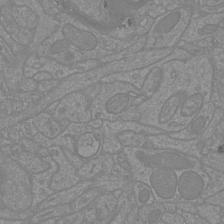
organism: Mouse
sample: Cortical neurons